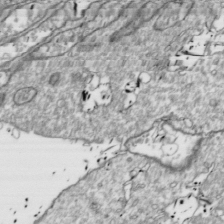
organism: Drosophila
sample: Cell division; meiosis; drosophila spermatocytes